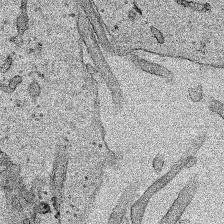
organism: Human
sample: Mitochondria in HCT116 cells